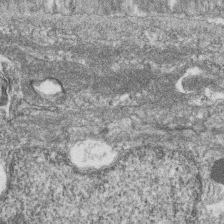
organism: Zebrafish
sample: Cilia; retinal pigment epithelium